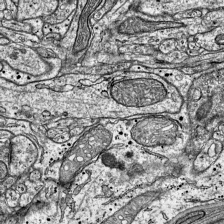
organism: Mouse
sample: Visual Cortex